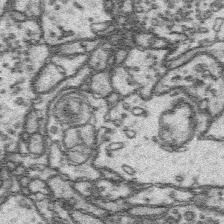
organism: Platynereis dumerilii